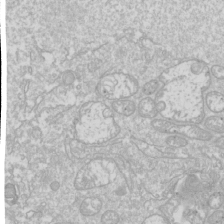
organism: Drosophila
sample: Cell division; meiosis; drosophila spermatocytes